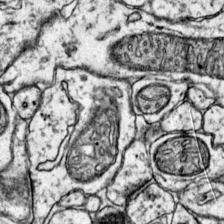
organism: Mouse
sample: Primary visual cortex